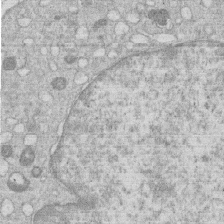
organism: Human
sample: Macrophage cells